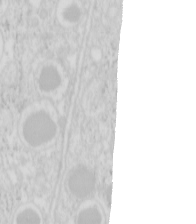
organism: Mouse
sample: Pancreas